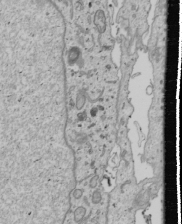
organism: Human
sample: Mitochondria in U2OS cells